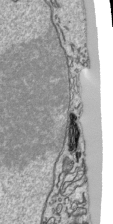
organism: Human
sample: Mitochondria in HCT116 cells